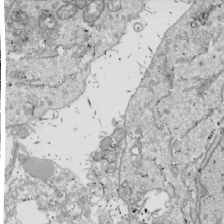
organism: Drosophila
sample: Cell division; meiosis; drosophila spermatocytes